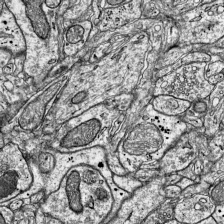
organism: Mouse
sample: Visual Cortex